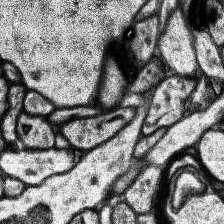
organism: Human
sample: Temporal Lobe